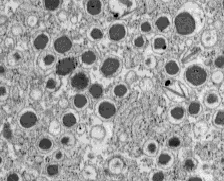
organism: C57BL Mouse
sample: Pancreatic islet